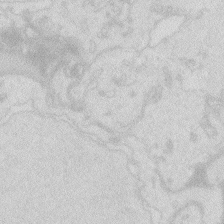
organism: Zebrafish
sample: Macrophage